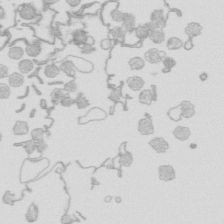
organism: Mouse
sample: Multiciliated cells